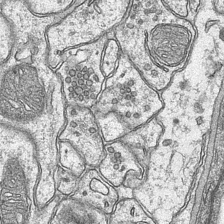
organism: Mouse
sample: CA1 Hippocampus